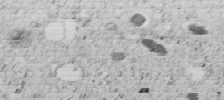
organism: C. elegans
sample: C. elegans embryo early stage